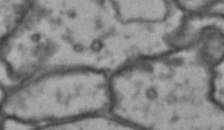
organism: Drosophila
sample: Brain